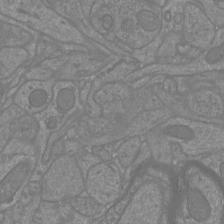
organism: Mouse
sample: Cortical neurons